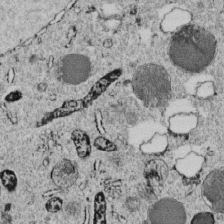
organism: C. elegans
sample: C. elegans embryo early stage